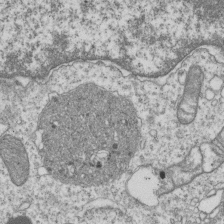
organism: Human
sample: MDA-MB-231 cells